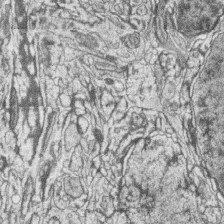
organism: Zebrafish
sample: synaptic ribbons in rod cells and cone cells